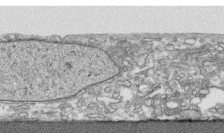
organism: Human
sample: CRL-1474